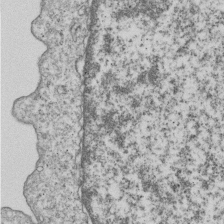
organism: Human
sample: MDA-MB-231 cells